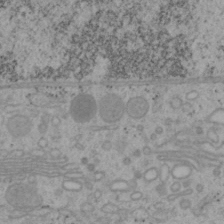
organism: Human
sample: HeLa cells